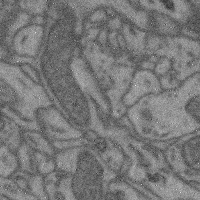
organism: Mouse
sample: Cerebral cortex